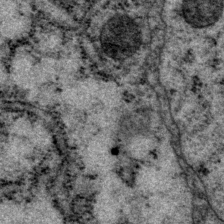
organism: P. pacificus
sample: Pharynx